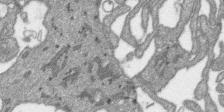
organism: Human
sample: Lung epithelial cells infected with SARS-CoV-2